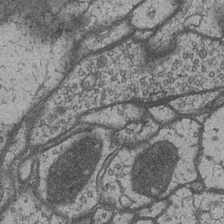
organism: Drosophila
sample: Optic medulla